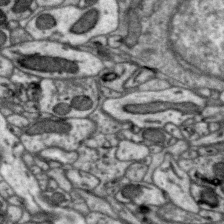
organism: Zebra finch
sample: Brain